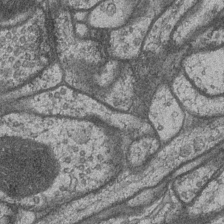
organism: Drosophila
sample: Optic medulla